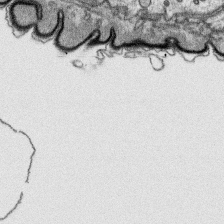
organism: Platynereis dumerilii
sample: Parapodia